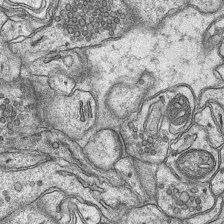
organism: Mouse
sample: CA1 Hippocampus